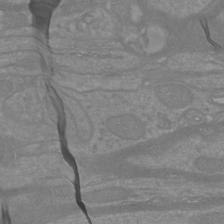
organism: Mouse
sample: Cortical neurons